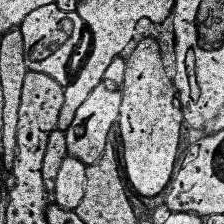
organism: Human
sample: Temporal Lobe